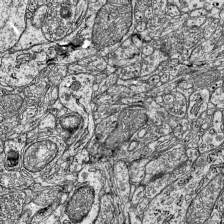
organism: Mouse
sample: Visual Cortex